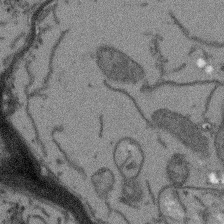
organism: Arabidopsis thaliana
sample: Root tip